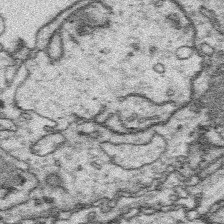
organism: Platynereis dumerilii